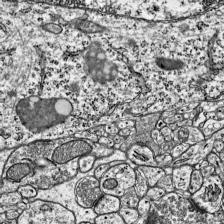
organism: Mouse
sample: Visual Cortex